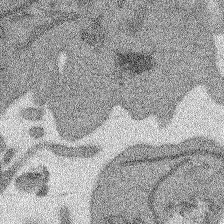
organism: Human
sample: HeLa cells